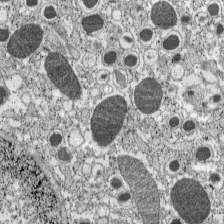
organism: C57BL Mouse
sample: Pancreatic islet